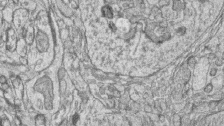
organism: Zebrafish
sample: synaptic ribbons in rod cells and cone cells